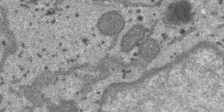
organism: Human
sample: Lung epithelial cells infected with SARS-CoV-2